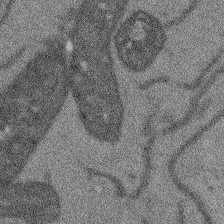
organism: Arabidopsis thaliana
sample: Root tip